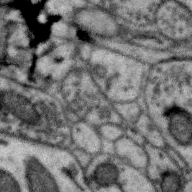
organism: Zebra finch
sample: Brain